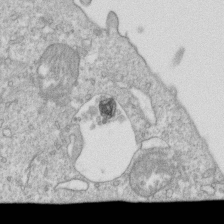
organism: Mouse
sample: Activated OT-1 CD8+ T cells